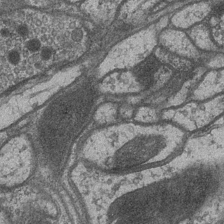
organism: Drosophila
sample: Optic medulla